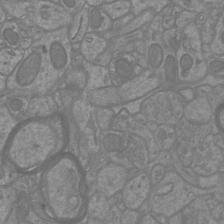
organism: Mouse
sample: Cortical neurons